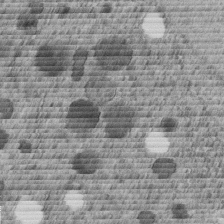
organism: C. elegans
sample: C. elegans embryo early stage